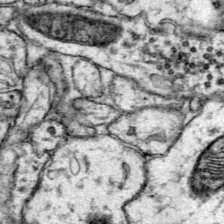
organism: Mouse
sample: Primary visual cortex